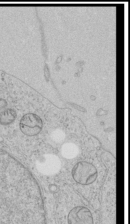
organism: Human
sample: Mitochondria in HCT116 cells